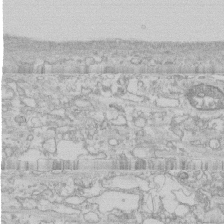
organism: Human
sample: CRL-1474